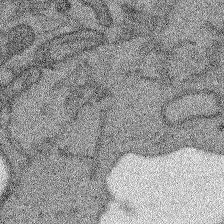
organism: Human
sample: HeLa cells